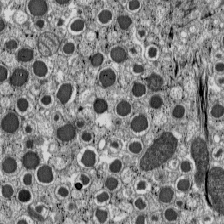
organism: C57BL Mouse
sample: Pancreatic islet